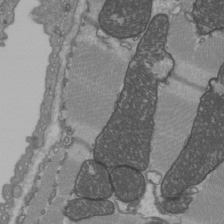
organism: C57BL Mouse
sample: Heart